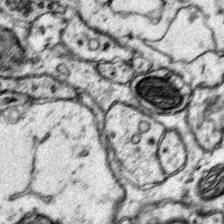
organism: Mouse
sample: Primary visual cortex